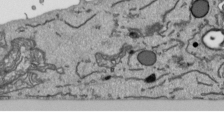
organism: Human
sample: Mitochondria in HCT116 cells